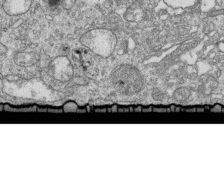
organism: Human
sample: HeLa cell HIV synapse